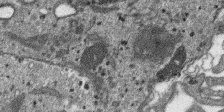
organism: Human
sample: Lung epithelial cells infected with SARS-CoV-2